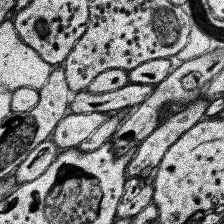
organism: Human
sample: Temporal Lobe